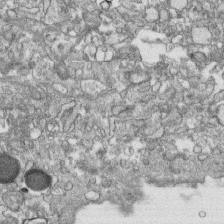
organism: Human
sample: CRL-1474